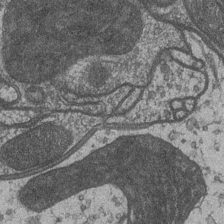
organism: Drosophila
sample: Optic medulla